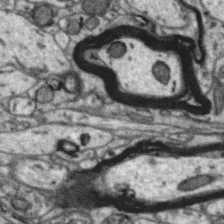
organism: Zebra finch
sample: Brain